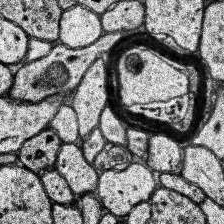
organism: Human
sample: Temporal Lobe